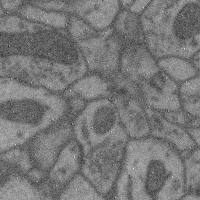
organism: Mouse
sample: Cerebral cortex